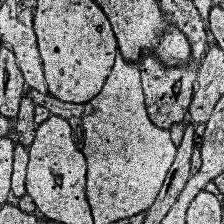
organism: Human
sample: Temporal Lobe